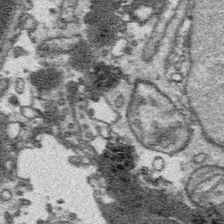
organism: Platynereis dumerilii